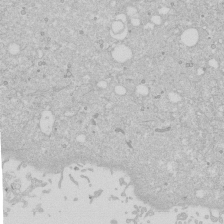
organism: Human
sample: Caco-2 cells